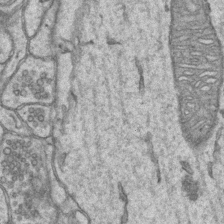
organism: Mouse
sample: CA1 Hippocampus